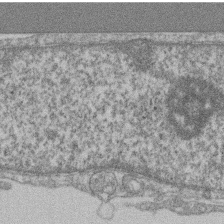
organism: Mouse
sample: T cell stromal cell synapse